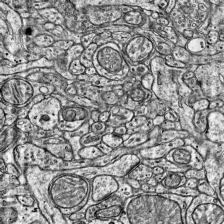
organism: Mouse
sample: Visual Cortex